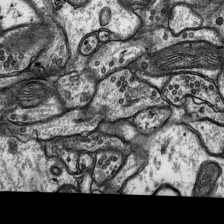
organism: Rat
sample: Hippocampus